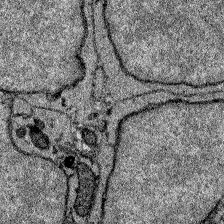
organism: Zebrafish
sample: Larval olfactory bulb